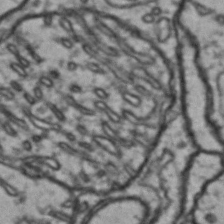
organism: Drosophila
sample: Brain